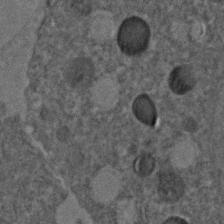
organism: C. elegans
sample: C. elegans embryo